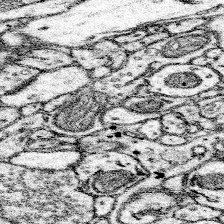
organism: Mouse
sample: Somatosensory cortex neuropil